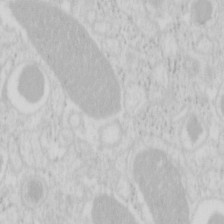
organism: Mouse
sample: Pancreas